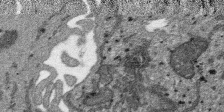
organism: Human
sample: Lung epithelial cells infected with SARS-CoV-2